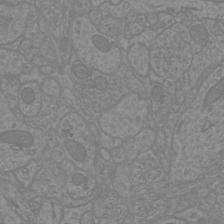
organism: Mouse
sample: Cortical neurons